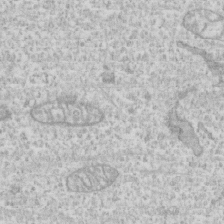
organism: Human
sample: CRL-1474